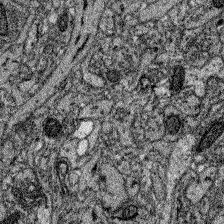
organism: Zebrafish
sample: Larval olfactory bulb